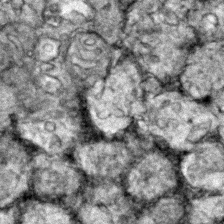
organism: Zebrafish